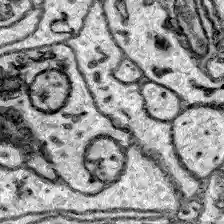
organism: Zebrafish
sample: Brain